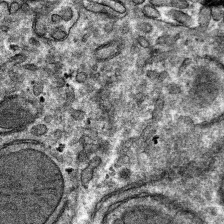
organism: Mouse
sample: Mouse hepatocytes